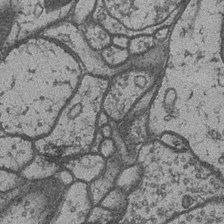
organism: Drosophila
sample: Optic medulla